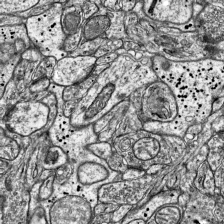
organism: Mouse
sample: Visual Cortex